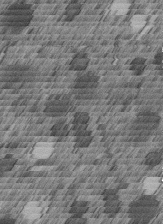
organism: C. elegans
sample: C. elegans embryo early stage